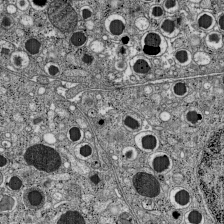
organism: C57BL Mouse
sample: Pancreatic islet